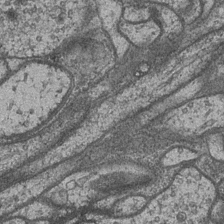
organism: Drosophila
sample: Optic medulla